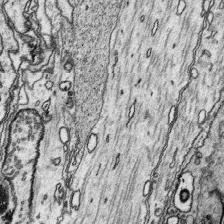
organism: Platynereis dumerilii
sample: Parapodia